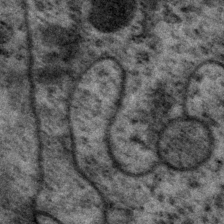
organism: P. pacificus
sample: Pharynx